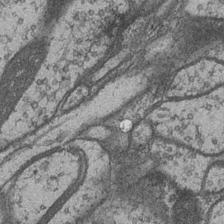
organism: Drosophila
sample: Optic medulla